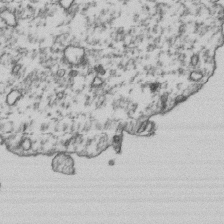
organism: Human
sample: Activated Jurkat CD4+ T cells